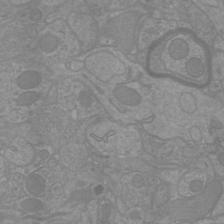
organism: Mouse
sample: Cortical neurons